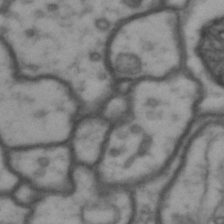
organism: Drosophila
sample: Brain